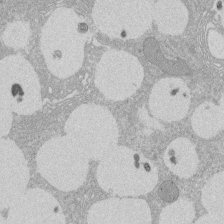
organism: Rat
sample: Salivary granule